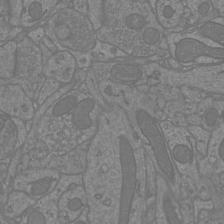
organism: Mouse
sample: Cortical neurons